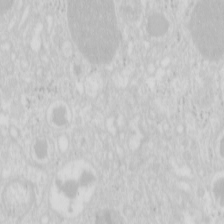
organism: Mouse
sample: Pancreas